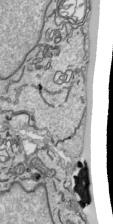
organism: Human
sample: Mitochondria in HCT116 cells